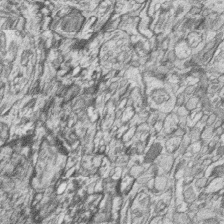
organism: Zebrafish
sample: synaptic ribbons in rod cells and cone cells